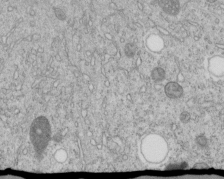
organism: C. elegans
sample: C. elegans embryo early stage